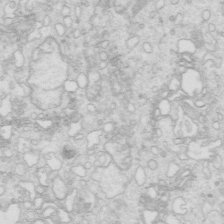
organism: Mouse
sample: Multiciliated cells